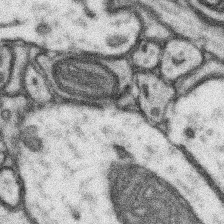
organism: Mouse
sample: Somatosensory cortex neuropil